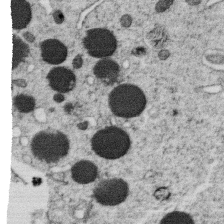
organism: C. elegans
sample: C. elegans oocyte; sperm cells